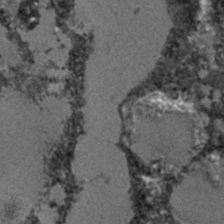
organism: C. elegans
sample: C. elegans embryo